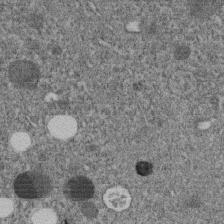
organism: C. elegans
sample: C. elegans embryo early stage